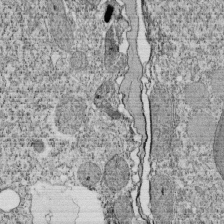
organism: Tetrahymena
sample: Cilia in tetrahymena